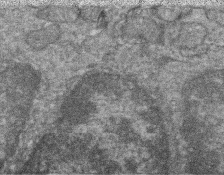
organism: Zebrafish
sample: Cilia; retinal pigment epithelium